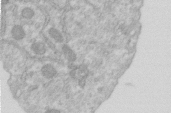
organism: Human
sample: Centriole in RPE cells